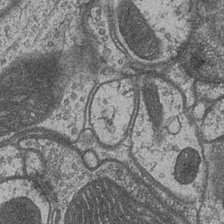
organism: Drosophila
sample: Optic medulla